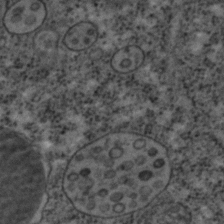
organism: C. elegans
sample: C. elegans embryo